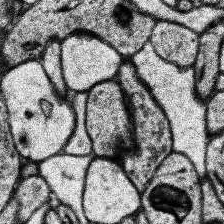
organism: Human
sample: Temporal Lobe